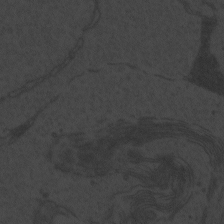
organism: Zebrafish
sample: Macrophage infected with Toxoplasma gondii